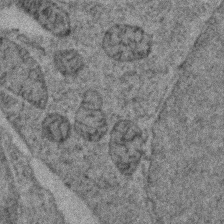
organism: Zebrafish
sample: Zebrafish embryo